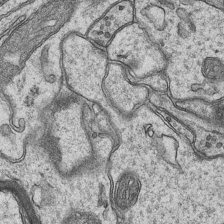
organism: Mouse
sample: CA1 Hippocampus